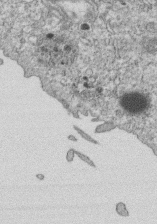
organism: Human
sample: HeLa cell HIV synapse